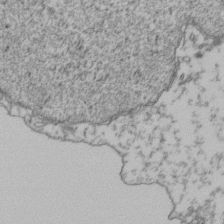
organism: Human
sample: Activated Jurkat CD4+ T cells